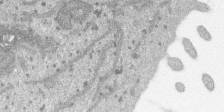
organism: Human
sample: Lung epithelial cells infected with SARS-CoV-2